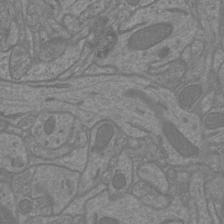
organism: Mouse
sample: Cortical neurons